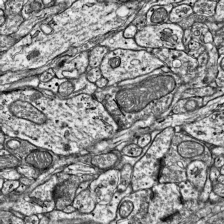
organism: Mouse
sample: Visual Cortex